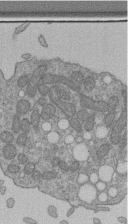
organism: Human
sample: Retinal organoid Rod and Cone cells